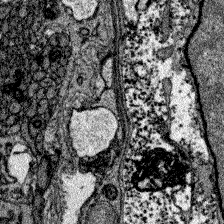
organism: Zebrafish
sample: Larval olfactory bulb